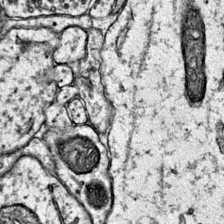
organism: Mouse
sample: Primary visual cortex